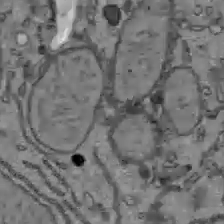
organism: C57BL Mouse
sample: Liver